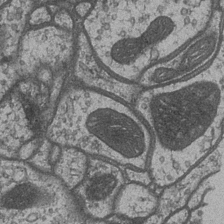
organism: Drosophila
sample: Optic medulla